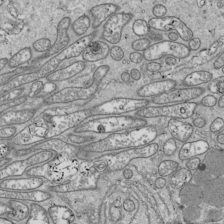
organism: Drosophila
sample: Cell division; meiosis; drosophila spermatocytes